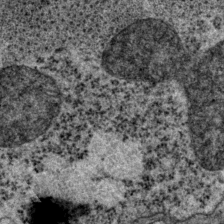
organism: P. pacificus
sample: Pharynx